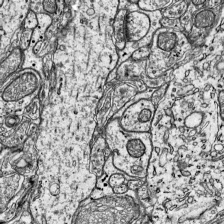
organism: Mouse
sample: Visual Cortex